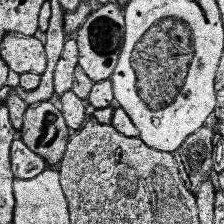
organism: Human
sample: Temporal Lobe